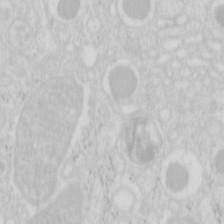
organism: Mouse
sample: Pancreas